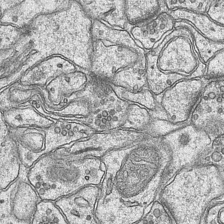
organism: Mouse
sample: CA1 Hippocampus